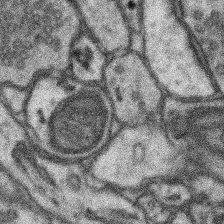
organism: Mouse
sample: Somatosensory cortex neuropil